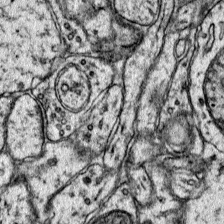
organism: Mouse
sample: Primary visual cortex